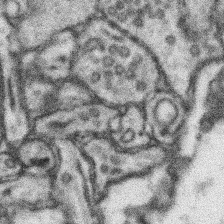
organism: Mouse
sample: Somatosensory cortex neuropil